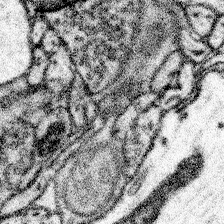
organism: Mouse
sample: Somatosensory cortex neuropil